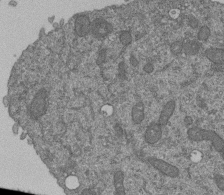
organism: Human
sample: Retinal organoid Rod and Cone cells